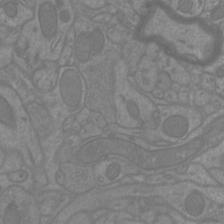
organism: Mouse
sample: Cortical neurons